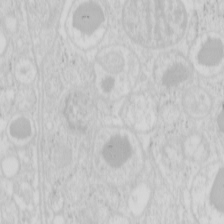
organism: Mouse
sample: Pancreas